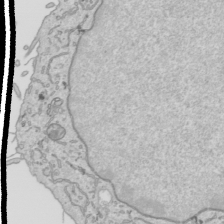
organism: Human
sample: Mitochondria in HCT116 cells